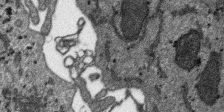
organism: Human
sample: Lung epithelial cells infected with SARS-CoV-2